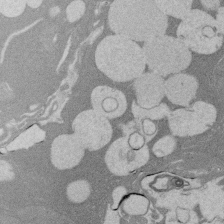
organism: Rat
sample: Salivary granule